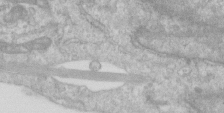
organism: Human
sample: Centriole in RPE cells